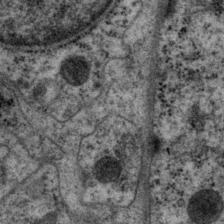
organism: P. pacificus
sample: Pharynx